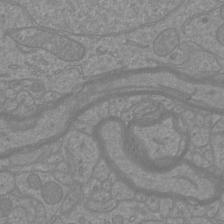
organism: Mouse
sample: Cortical neurons